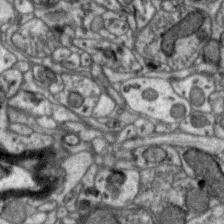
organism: Zebra finch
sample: Brain